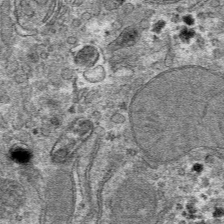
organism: Mouse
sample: Mouse hepatocytes